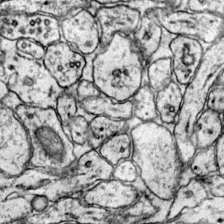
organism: Mouse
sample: Primary visual cortex